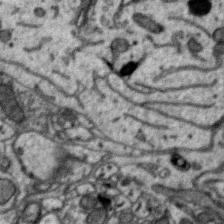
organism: Zebra finch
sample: Brain